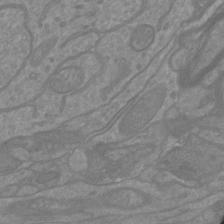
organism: Mouse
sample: Cortical neurons